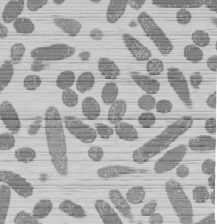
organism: E. coli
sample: Bacterial nucleoid